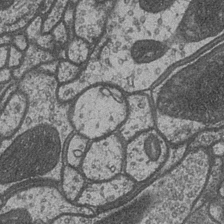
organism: Drosophila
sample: Optic medulla